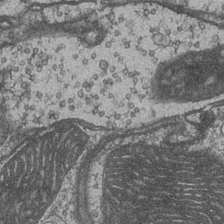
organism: Drosophila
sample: Optic medulla